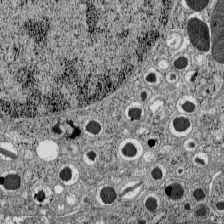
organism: C57BL Mouse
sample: Pancreatic islet